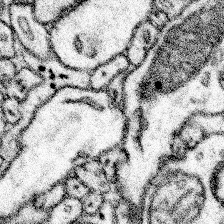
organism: Mouse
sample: Somatosensory cortex neuropil